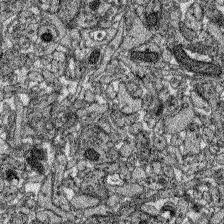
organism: Zebrafish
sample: Larval olfactory bulb